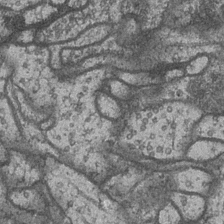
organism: Drosophila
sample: Optic medulla